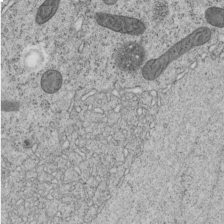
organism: C. elegans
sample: C. elegans embryo early stage